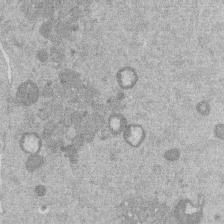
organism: Mouse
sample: Dividing mouse embryo 1 cell stage